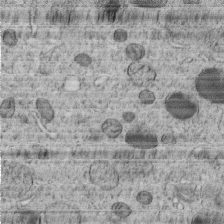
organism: C. elegans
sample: C. elegans embryo early stage